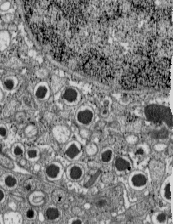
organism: C57BL Mouse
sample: Pancreatic islet